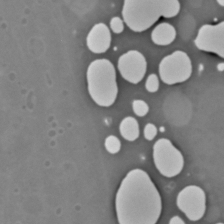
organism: C. elegans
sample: C. elegans embryo